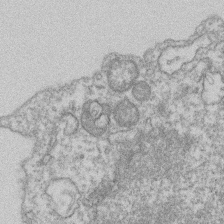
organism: Mouse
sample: T cell stromal cell synapse